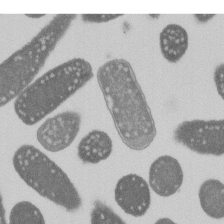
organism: E. coli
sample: Bacterial nucleoid